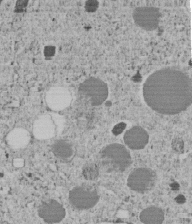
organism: C. elegans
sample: C. elegans embryo early stage